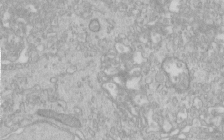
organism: Human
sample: Centriole in RPE cells